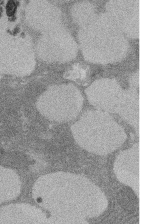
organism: Rat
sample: Salivary granule